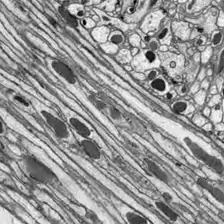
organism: Drosophila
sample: Optic lobe